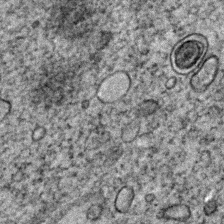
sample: Trachea